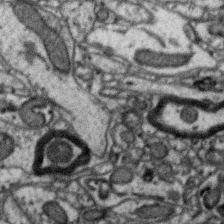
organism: Zebra finch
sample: Brain